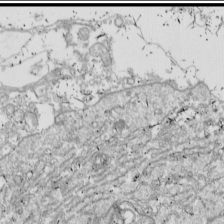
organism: Drosophila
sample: Cell division; meiosis; drosophila spermatocytes